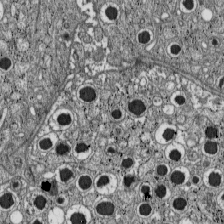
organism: C57BL Mouse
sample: Pancreatic islet